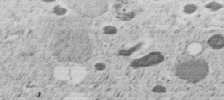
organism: C. elegans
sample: C. elegans embryo early stage